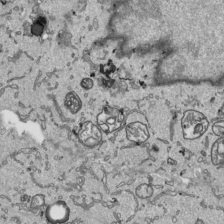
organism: Human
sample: Mitochondria in HCT116 cells